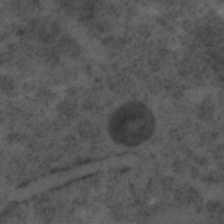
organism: C. elegans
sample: C. elegans embryo